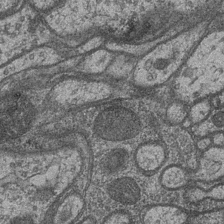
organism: Drosophila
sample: Optic medulla